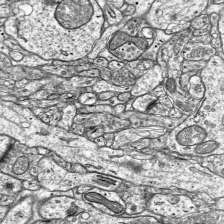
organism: Mouse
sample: Visual Cortex